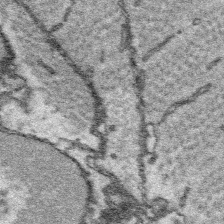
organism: Platynereis dumerilii